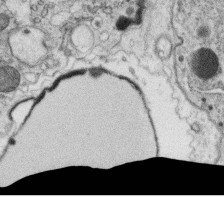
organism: C. elegans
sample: C. elegans oocyte; sperm cells